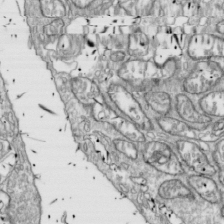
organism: Drosophila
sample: Cell division; meiosis; drosophila spermatocytes